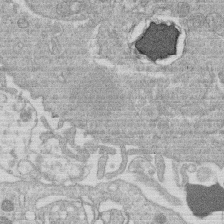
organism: Human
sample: Macrophage cells